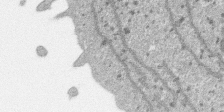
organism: Human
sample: Lung epithelial cells infected with SARS-CoV-2